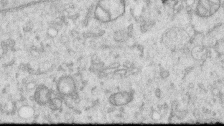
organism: Human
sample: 1205lu cells